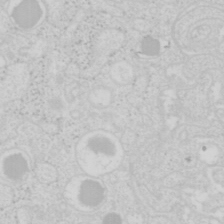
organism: Mouse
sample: Pancreas